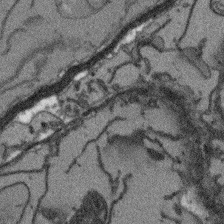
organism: Arabidopsis thaliana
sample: Root tip